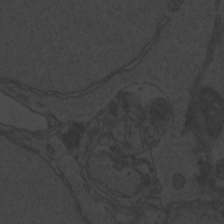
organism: Zebrafish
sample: Macrophage infected with Toxoplasma gondii